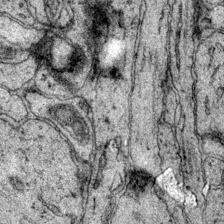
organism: Mouse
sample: Primary visual cortex